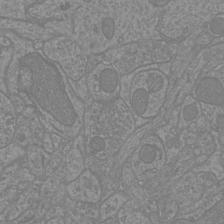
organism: Mouse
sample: Cortical neurons